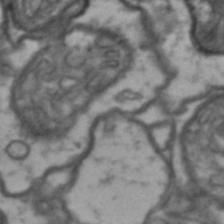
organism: Drosophila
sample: Brain